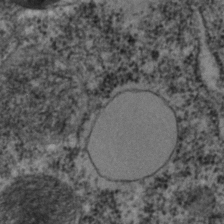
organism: C. elegans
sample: C. elegans embryo